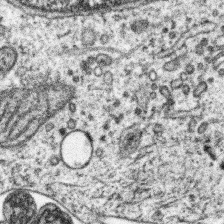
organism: Human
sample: HeLa cells